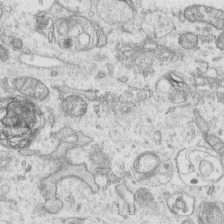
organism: Human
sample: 1205lu cells